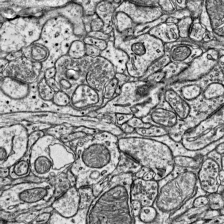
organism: Mouse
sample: Visual Cortex